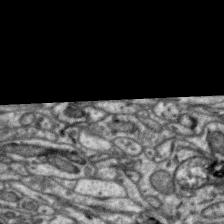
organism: Zebra finch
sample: Brain